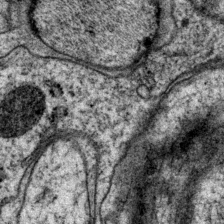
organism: P. pacificus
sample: Pharynx